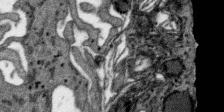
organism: Human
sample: Lung epithelial cells, uninfected (mock) control